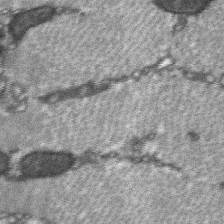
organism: C57BL Mouse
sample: Soleus